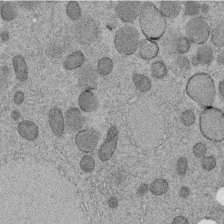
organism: C. elegans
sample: C. elegans embryo early stage